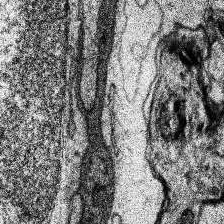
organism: Human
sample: Temporal Lobe